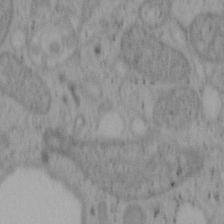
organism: Mouse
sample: OT-I killer T cells with ID8 ovarian cancer cells